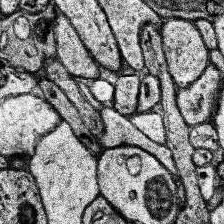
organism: Human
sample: Temporal Lobe